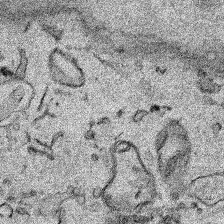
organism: Human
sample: Mitochondria in HCT116 cells